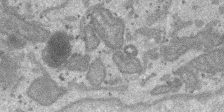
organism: Human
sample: Lung epithelial cells infected with SARS-CoV-2